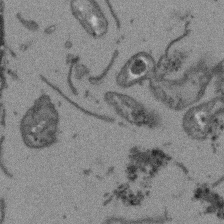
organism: Arabidopsis thaliana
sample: Root tip